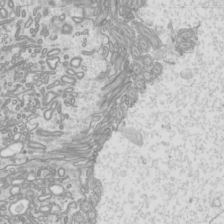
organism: Mouse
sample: Cilia; mouse epididymis